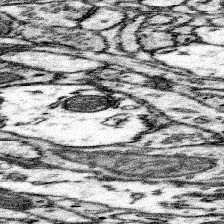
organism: Mouse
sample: Somatosensory cortex neuropil